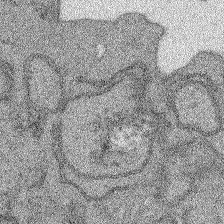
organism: Human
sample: HeLa cells